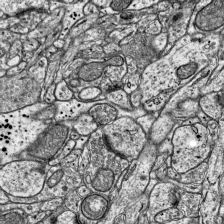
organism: Mouse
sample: Visual Cortex